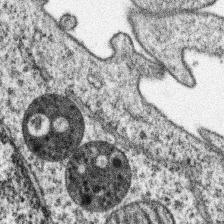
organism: Human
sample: HeLa cells